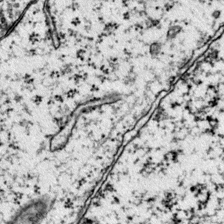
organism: Mouse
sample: Primary visual cortex